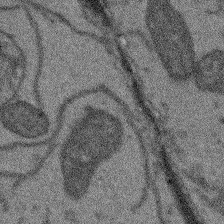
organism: Arabidopsis thaliana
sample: Root tip